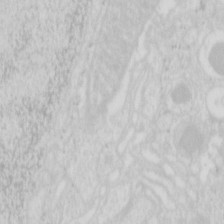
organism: Mouse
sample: Pancreas